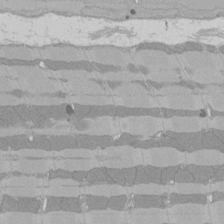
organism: Rat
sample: Left ventricle